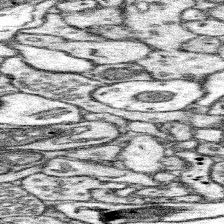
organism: Mouse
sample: Somatosensory cortex neuropil